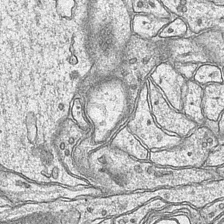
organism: Mouse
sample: CA1 Hippocampus